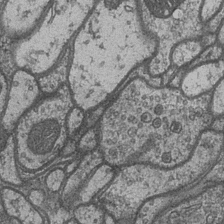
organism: Drosophila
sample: Optic medulla